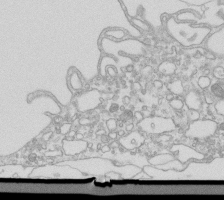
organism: Mouse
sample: Macrophages